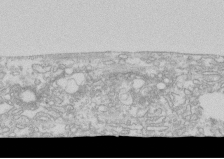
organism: Human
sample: CRL-1474